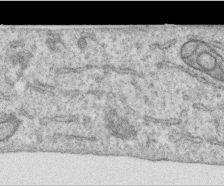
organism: Human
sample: Centriole in RPE cells